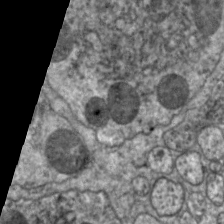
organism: C. elegans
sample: Pharynx